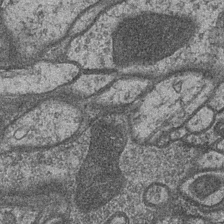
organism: Drosophila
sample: Optic medulla